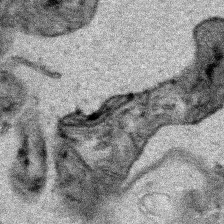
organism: Human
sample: Mitochondria in HCT116 cells